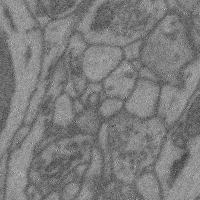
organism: Mouse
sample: Cerebral cortex